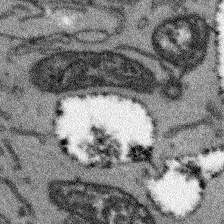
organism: Arabidopsis thaliana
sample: Root tip